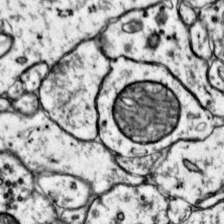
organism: Mouse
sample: Primary visual cortex